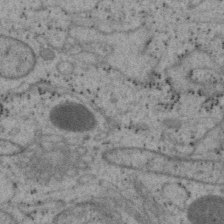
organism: Human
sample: HeLa cells